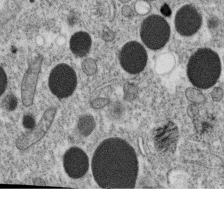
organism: C. elegans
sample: C. elegans oocyte; sperm cells